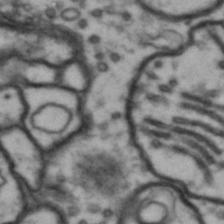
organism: Drosophila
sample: Brain